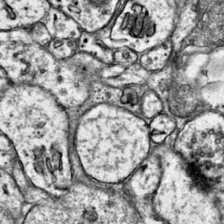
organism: Mouse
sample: Primary visual cortex